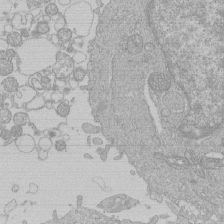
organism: Human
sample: Macrophage cells